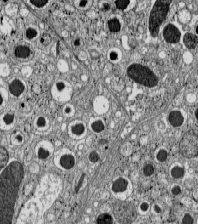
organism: C57BL Mouse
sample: Pancreatic islet